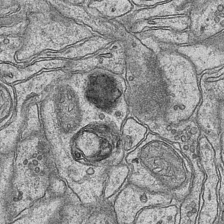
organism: Mouse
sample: CA1 Hippocampus